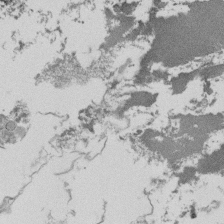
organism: Tetrahymena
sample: Cilia in tetrahymena